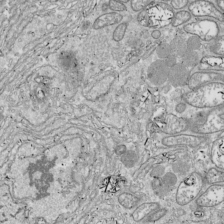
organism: Drosophila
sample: Cell division; meiosis; drosophila spermatocytes